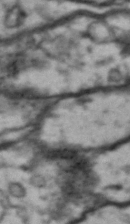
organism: Drosophila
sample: Brain